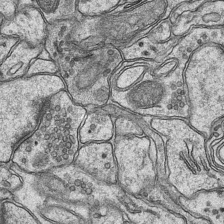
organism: Mouse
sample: CA1 Hippocampus